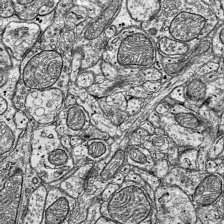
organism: Mouse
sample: Visual Cortex